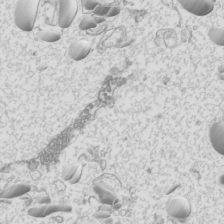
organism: Mouse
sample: Cilia; mouse epididymis